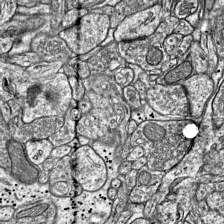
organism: Mouse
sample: Visual Cortex